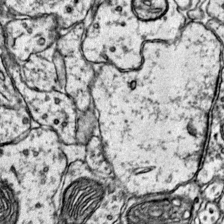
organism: Mouse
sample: Primary visual cortex